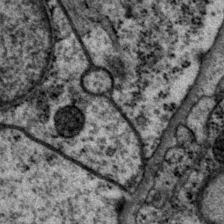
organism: P. pacificus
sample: Pharynx